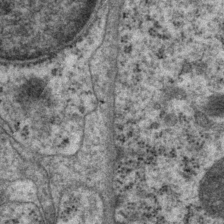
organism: P. pacificus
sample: Pharynx